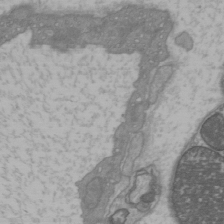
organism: C57BL Mouse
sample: Heart